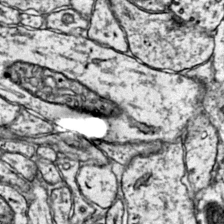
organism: Mouse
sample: Primary visual cortex